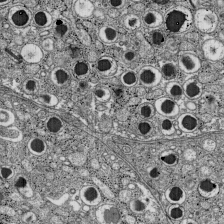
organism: C57BL Mouse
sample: Pancreatic islet